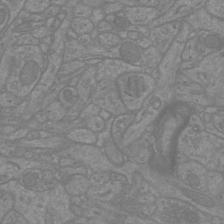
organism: Mouse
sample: Cortical neurons